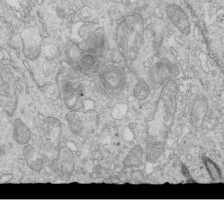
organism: Mouse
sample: Multiciliated cells